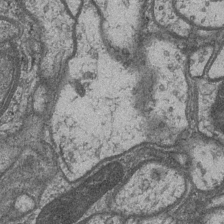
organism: Drosophila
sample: Optic medulla